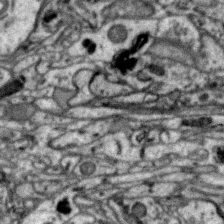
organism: Zebra finch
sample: Brain